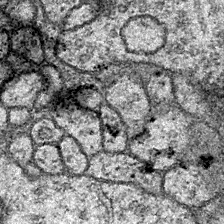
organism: Drosophila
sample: Ventral Nerve Cord